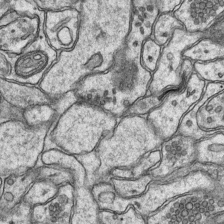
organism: Mouse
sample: CA1 Hippocampus